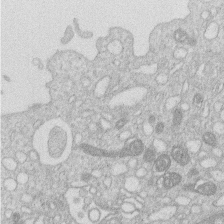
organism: Human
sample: Macrophage cells